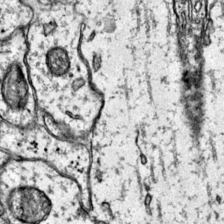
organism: Mouse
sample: Primary visual cortex